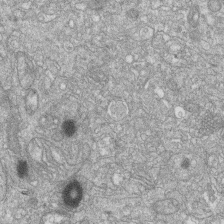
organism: Human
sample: HeLa cell HIV synapse